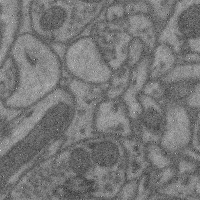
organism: Mouse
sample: Cerebral cortex